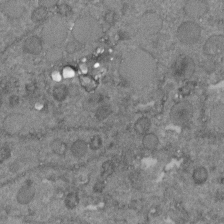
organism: C. elegans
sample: C. elegans embryo early stage